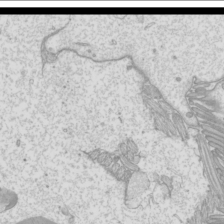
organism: Mouse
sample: Cilia; mouse epididymis